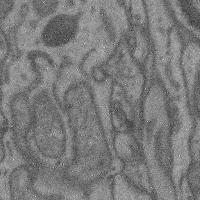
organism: Mouse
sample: Cerebral cortex